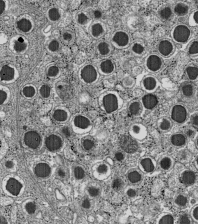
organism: C57BL Mouse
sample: Pancreatic islet